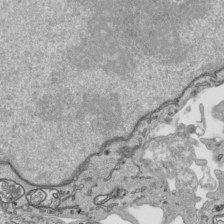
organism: Human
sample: Mitochondria in HCT116 cells